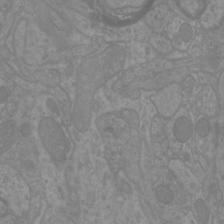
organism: Mouse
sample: Cortical neurons